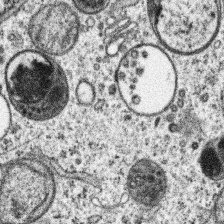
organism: Human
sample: HeLa cells